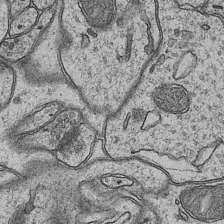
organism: Mouse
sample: CA1 Hippocampus